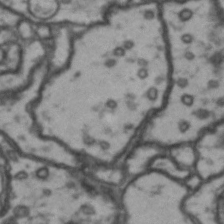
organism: Drosophila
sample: Brain